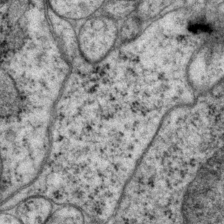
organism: P. pacificus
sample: Pharynx